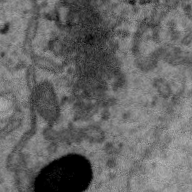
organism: Zebra finch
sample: Brain